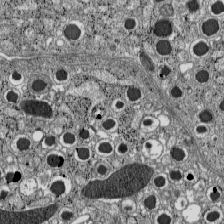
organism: C57BL Mouse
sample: Pancreatic islet